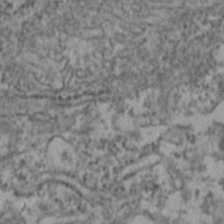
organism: Zebrafish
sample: Zebrafish embryo